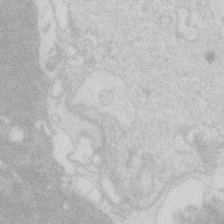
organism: Zebrafish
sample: Macrophage